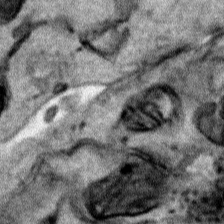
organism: Human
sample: Mitochondria in HCT116 cells